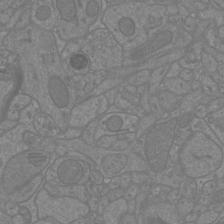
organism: Mouse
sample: Cortical neurons